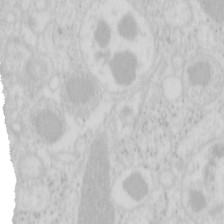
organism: Mouse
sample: Pancreas